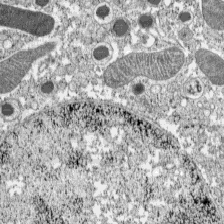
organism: C57BL Mouse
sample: Pancreatic islet